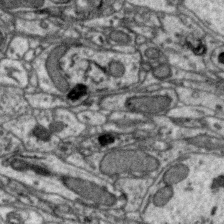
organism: Zebra finch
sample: Brain